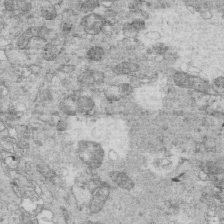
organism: Mouse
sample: Multiciliated cells